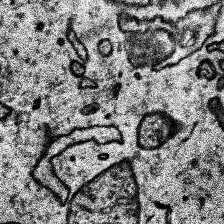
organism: Human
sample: Temporal Lobe